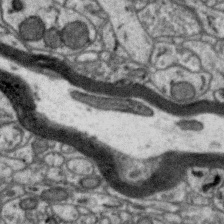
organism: Zebra finch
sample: Brain